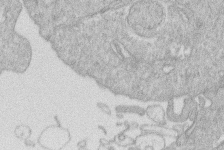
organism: Human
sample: Macrophage cells